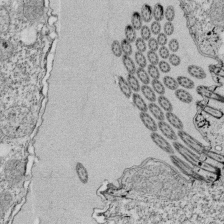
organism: Tetrahymena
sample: Cilia in tetrahymena